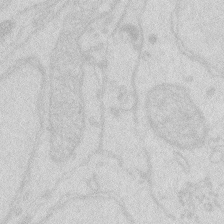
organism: Zebrafish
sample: Macrophage